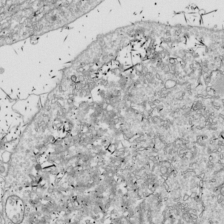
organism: Drosophila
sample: Cell division; meiosis; drosophila spermatocytes